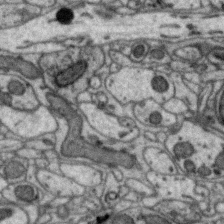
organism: Zebra finch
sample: Brain